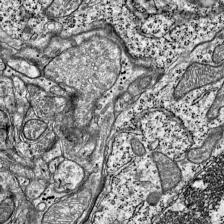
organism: Mouse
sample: Visual Cortex